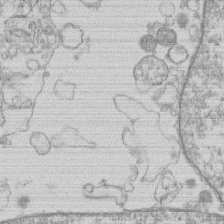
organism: Human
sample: Macrophage cells